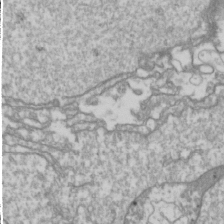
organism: Drosophila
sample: Cell division; meiosis; drosophila spermatocytes